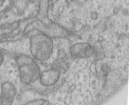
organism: Human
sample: Centriole in RPE cells